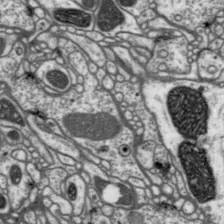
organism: Drosophila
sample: Protocerebral bridge